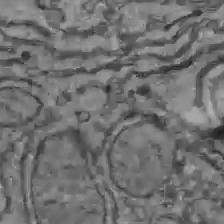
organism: C57BL Mouse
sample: Liver